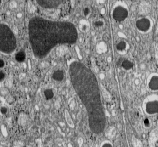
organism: C57BL Mouse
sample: Pancreatic islet